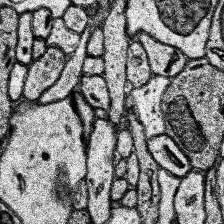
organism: Human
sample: Temporal Lobe